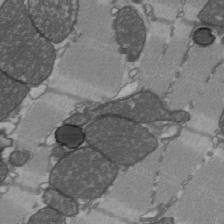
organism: C57BL Mouse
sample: Heart